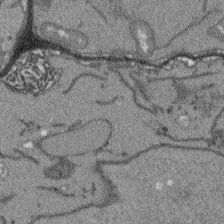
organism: Arabidopsis thaliana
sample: Root tip